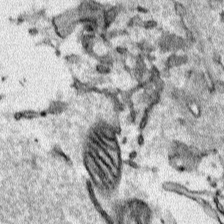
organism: Human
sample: Mitochondria in HCT116 cells